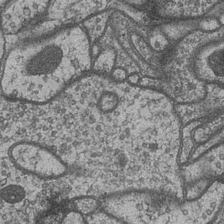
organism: Drosophila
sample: Optic medulla